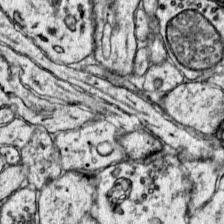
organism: Mouse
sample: Primary visual cortex